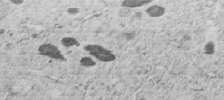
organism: C. elegans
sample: C. elegans embryo early stage